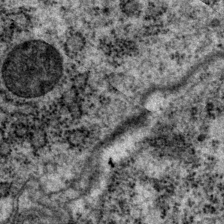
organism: P. pacificus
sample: Pharynx